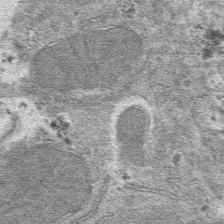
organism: Mouse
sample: Mouse hepatocytes